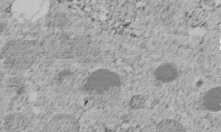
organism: C. elegans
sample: C. elegans embryo early stage